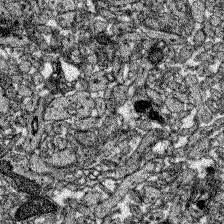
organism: Zebrafish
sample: Larval olfactory bulb